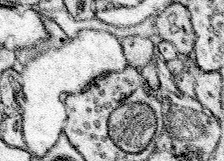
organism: Mouse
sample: Somatosensory cortex neuropil